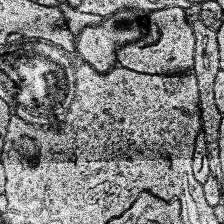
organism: Human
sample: Temporal Lobe